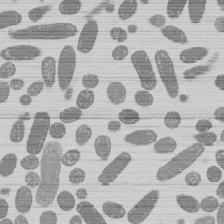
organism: E. coli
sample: Bacterial nucleoid